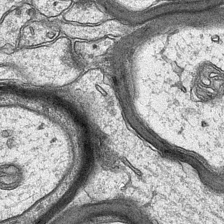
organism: Mouse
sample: CA1 Hippocampus